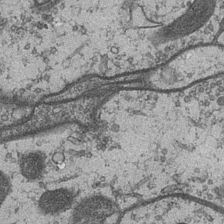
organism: Drosophila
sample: Optic medulla